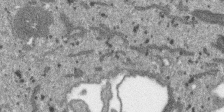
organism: Human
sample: Lung epithelial cells infected with SARS-CoV-2